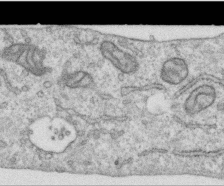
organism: Human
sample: Centriole in RPE cells